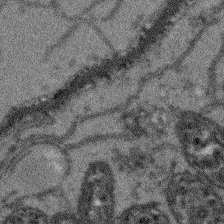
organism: Arabidopsis thaliana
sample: Root tip